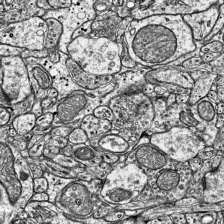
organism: Mouse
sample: Visual Cortex